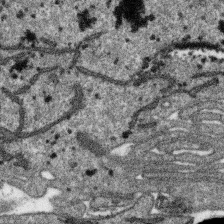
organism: Human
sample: Lung epithelial cells infected with SARS-CoV-2